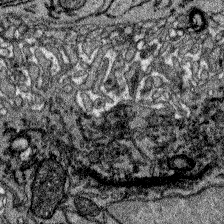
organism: Zebrafish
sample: Larval olfactory bulb